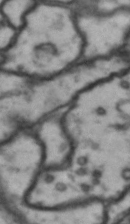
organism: Drosophila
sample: Brain